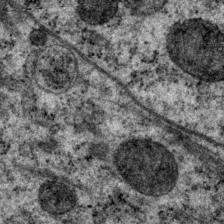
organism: P. pacificus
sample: Pharynx